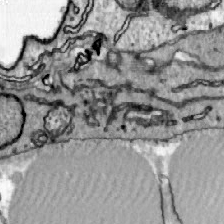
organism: Zebrafish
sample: Actinotrichia fibers